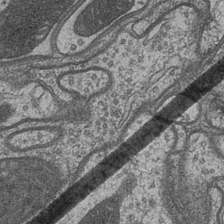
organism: Drosophila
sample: Optic medulla